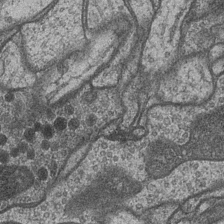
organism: Drosophila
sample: Optic medulla